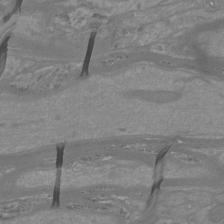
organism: Mouse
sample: Cortical neurons